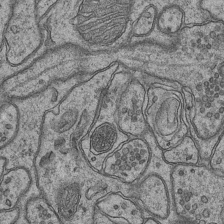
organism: Mouse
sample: CA1 Hippocampus